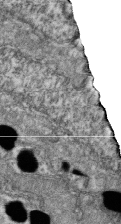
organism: Zebrafish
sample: Cilia; retinal pigment epithelium